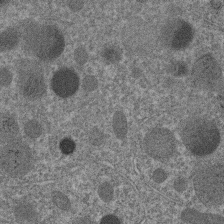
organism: C. elegans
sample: C. elegans embryo early stage